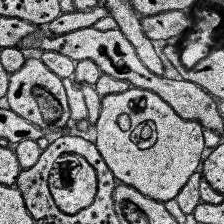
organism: Human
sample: Temporal Lobe